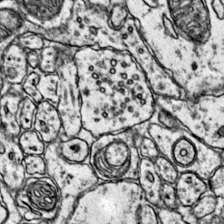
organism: Mouse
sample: Primary visual cortex